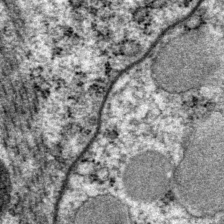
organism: P. pacificus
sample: Pharynx